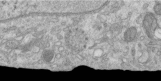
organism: Human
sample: Centriole in RPE cells